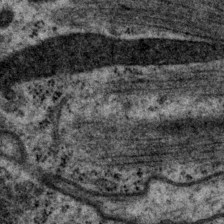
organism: P. pacificus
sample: Pharynx